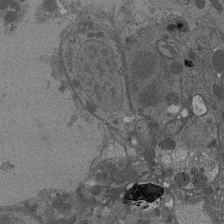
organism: Drosophila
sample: Antenna